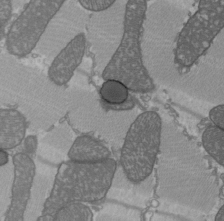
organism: C57BL Mouse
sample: Heart